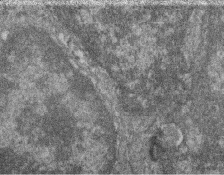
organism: Zebrafish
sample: Cilia; retinal pigment epithelium